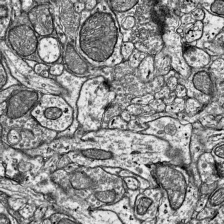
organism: Mouse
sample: Visual Cortex